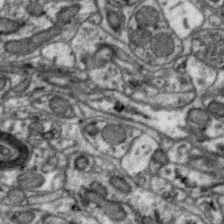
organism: Zebra finch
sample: Brain